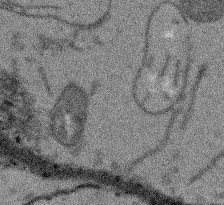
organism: Arabidopsis thaliana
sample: Root tip